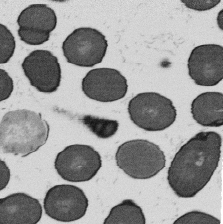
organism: B. subtilis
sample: Bacterial spore